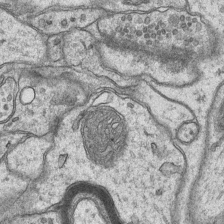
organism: Mouse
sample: CA1 Hippocampus